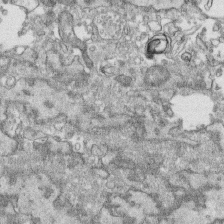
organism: Human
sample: CRL-1474